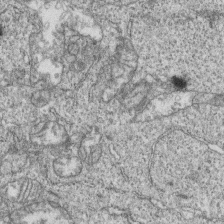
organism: Human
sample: HeLa cell HIV synapse